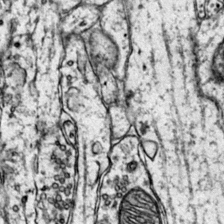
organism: Mouse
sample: Primary visual cortex